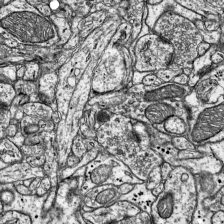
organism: Mouse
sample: Visual Cortex